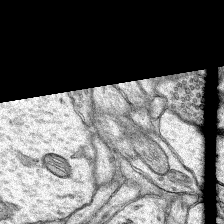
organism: Rat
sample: Hippocampus